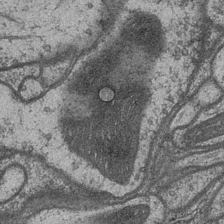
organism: Drosophila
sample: Optic medulla